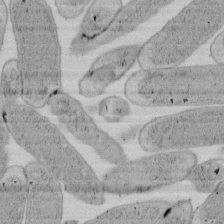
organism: E. coli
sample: Bacterial nucleoid